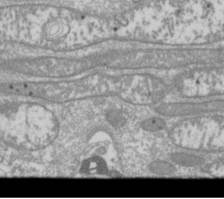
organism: Drosophila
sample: Cell division; meiosis; drosophila spermatocytes